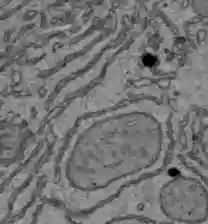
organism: C57BL Mouse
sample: Liver